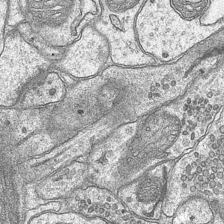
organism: Mouse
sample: CA1 Hippocampus